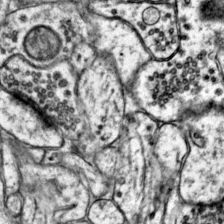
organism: Mouse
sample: Primary visual cortex